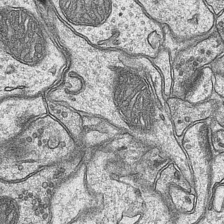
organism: Mouse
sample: CA1 Hippocampus